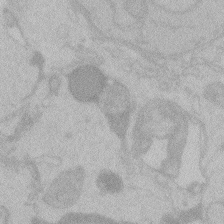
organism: Zebrafish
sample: Macrophage infected with Toxoplasma gondii